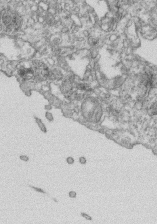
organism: Human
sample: HeLa cell HIV synapse